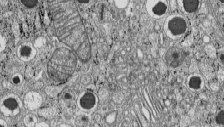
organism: C57BL Mouse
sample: Pancreatic islet